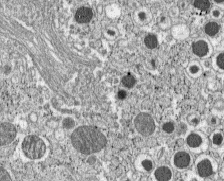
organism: C57BL Mouse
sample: Pancreatic islet